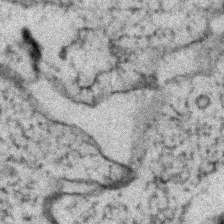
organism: Zebrafish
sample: Zebrafish embryo